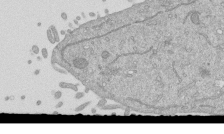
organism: Mouse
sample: ED-1 cell nuclei; centrioles